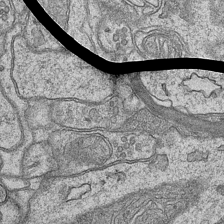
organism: Mouse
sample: CA1 Hippocampus